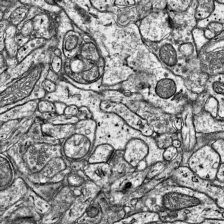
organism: Mouse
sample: Visual Cortex